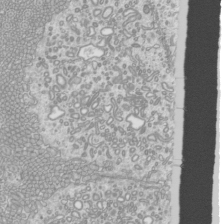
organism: Mouse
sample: Cilia; mouse epididymis